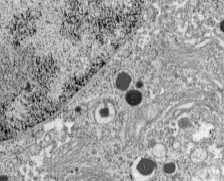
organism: C57BL Mouse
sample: Pancreatic islet